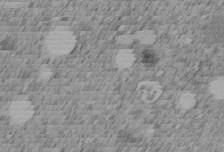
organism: C. elegans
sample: C. elegans embryo early stage